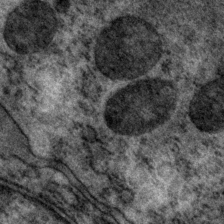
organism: P. pacificus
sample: Pharynx